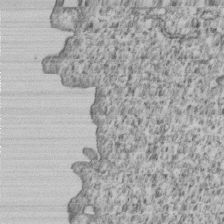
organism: Human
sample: MDA-MB-231 cells